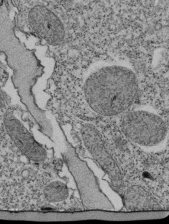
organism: Tetrahymena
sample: Cilia in tetrahymena